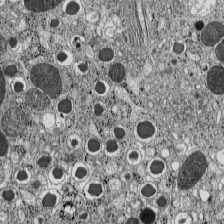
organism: C57BL Mouse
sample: Pancreatic islet